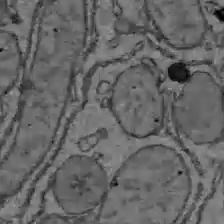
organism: C57BL Mouse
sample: Liver